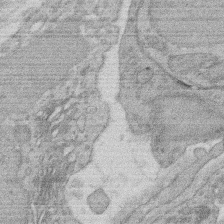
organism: Rat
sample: Salivary granule